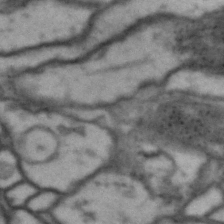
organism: Drosophila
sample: Brain